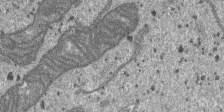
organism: Human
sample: Lung epithelial cells infected with SARS-CoV-2